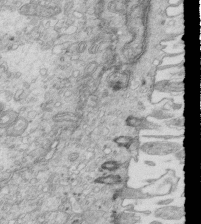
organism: Mouse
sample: Multiciliated cells